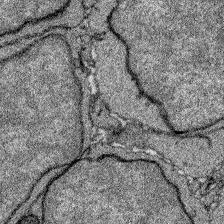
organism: Zebrafish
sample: Larval olfactory bulb